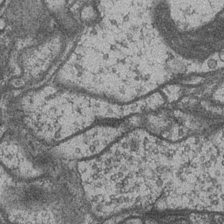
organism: Drosophila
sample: Optic medulla